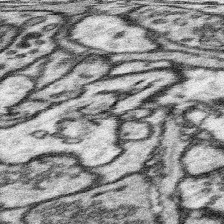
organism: Mouse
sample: Somatosensory cortex neuropil